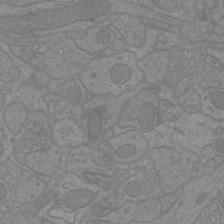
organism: Mouse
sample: Cortical neurons